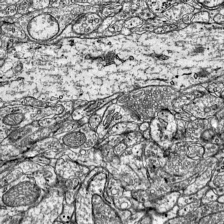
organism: Mouse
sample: Visual Cortex